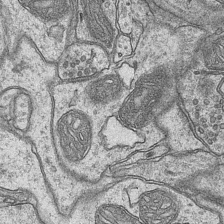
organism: Mouse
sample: CA1 Hippocampus